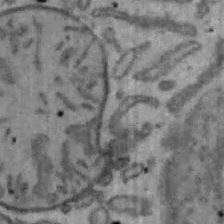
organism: Mouse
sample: Liver